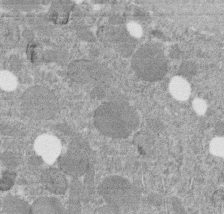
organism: C. elegans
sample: C. elegans embryo early stage